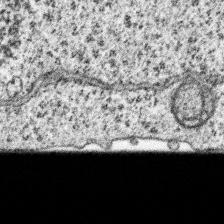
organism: Human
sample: HeLa cells